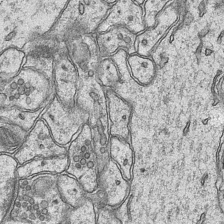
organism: Mouse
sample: CA1 Hippocampus